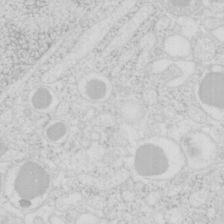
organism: Mouse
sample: Pancreas